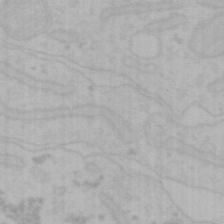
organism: Mouse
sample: Choroid plexus